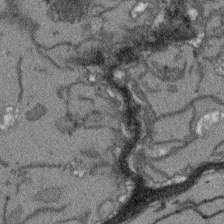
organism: Arabidopsis thaliana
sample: Root tip